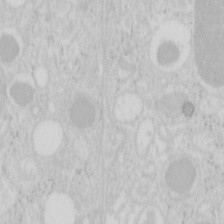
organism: Mouse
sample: Pancreas